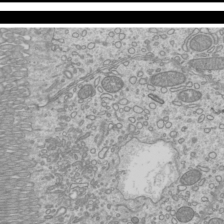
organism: Mouse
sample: Cilia; mouse epididymis